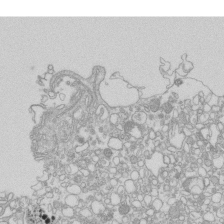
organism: Mouse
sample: Macrophages